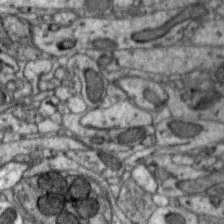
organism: Zebra finch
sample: Brain